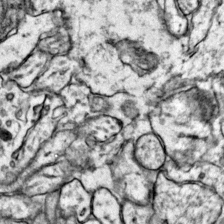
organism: Mouse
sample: Primary visual cortex